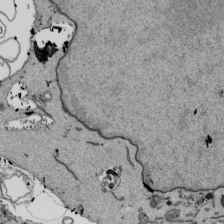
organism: Mouse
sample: ED-1 cell nuclei; centrioles